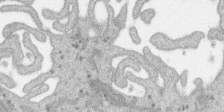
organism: Human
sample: Lung epithelial cells infected with SARS-CoV-2